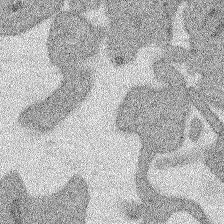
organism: Human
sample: HeLa cells